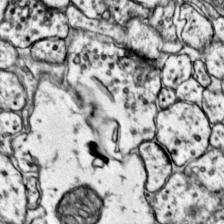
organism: Mouse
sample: Primary visual cortex